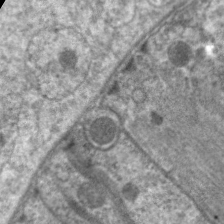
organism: C. elegans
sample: Pharynx